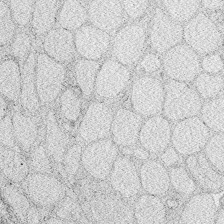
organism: Zebrafish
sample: Whole-Brain